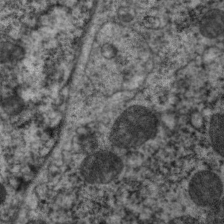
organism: C. elegans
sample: Pharynx